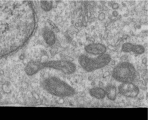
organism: Human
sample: Centriole in RPE cells